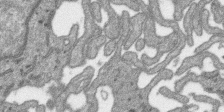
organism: Human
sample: Lung epithelial cells infected with SARS-CoV-2